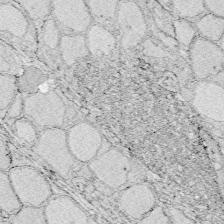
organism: Zebrafish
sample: Whole-Brain